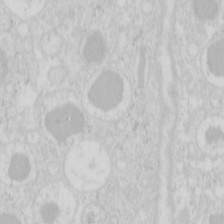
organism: Mouse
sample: Pancreas